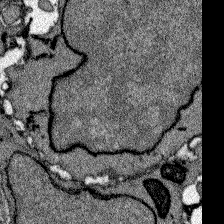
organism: Zebrafish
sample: Larval olfactory bulb